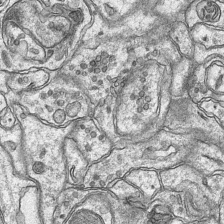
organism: Mouse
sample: CA1 Hippocampus